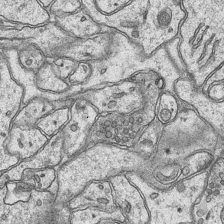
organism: Mouse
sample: CA1 Hippocampus